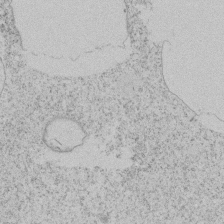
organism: Tetrahymena